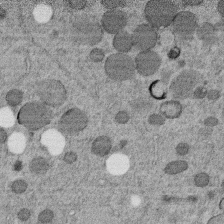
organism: C. elegans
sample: C. elegans embryo early stage